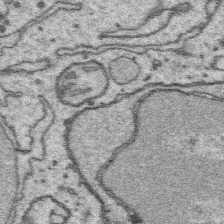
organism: Platynereis dumerilii